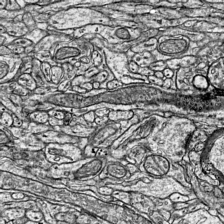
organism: Mouse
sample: Visual Cortex